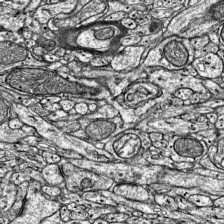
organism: Mouse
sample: Visual Cortex